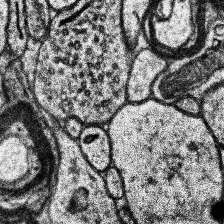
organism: Human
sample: Temporal Lobe